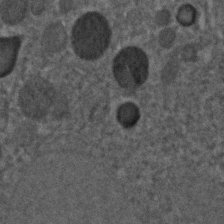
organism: C. elegans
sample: C. elegans embryo